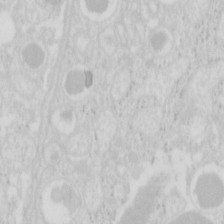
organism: Mouse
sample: Pancreas